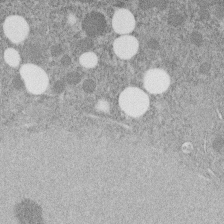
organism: C. elegans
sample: C. elegans embryo early stage